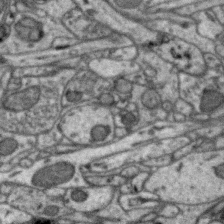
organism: Zebra finch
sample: Brain